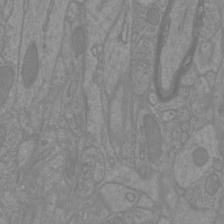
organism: Mouse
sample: Cortical neurons